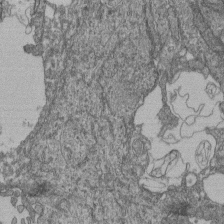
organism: Human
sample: Retinal organoid Rod and Cone cells